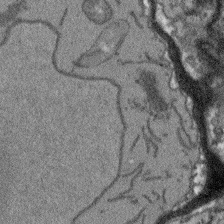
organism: Arabidopsis thaliana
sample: Root tip